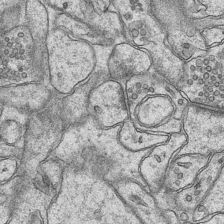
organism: Mouse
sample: CA1 Hippocampus